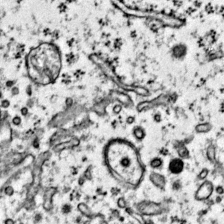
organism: Mouse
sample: Primary visual cortex